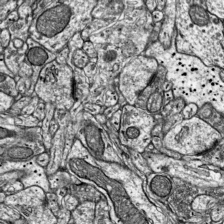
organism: Mouse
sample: Visual Cortex